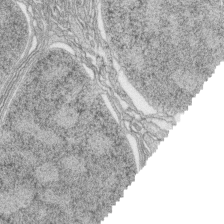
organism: Zebrafish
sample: synaptic ribbons in rod cells and cone cells